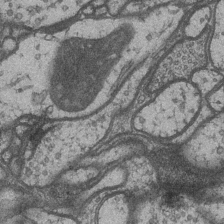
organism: Drosophila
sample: Optic medulla